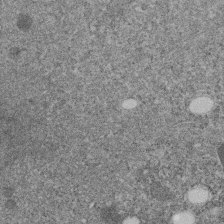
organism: C. elegans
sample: C. elegans embryo early stage